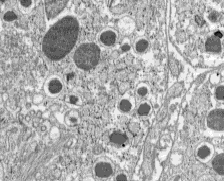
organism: C57BL Mouse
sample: Pancreatic islet